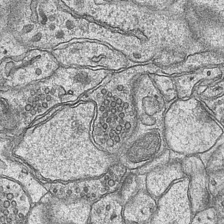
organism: Mouse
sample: CA1 Hippocampus